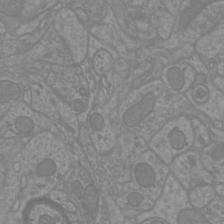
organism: Mouse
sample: Cortical neurons